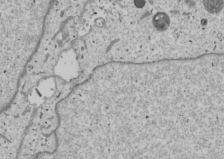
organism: Human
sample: Mitochondria in U2OS cells